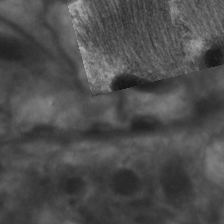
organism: C. elegans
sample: Pharynx